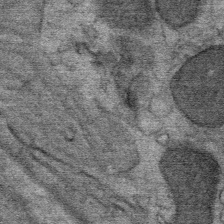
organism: Mouse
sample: Mouse Salivary gland